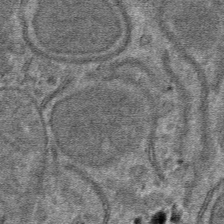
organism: Mouse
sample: Mouse hepatocytes